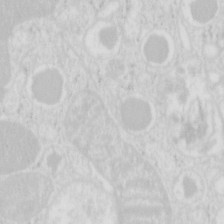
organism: Mouse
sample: Pancreas